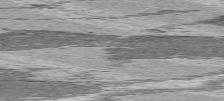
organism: C57BL Mouse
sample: Heart